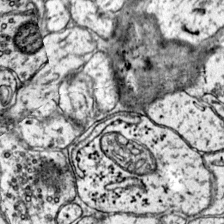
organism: Mouse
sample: Primary visual cortex